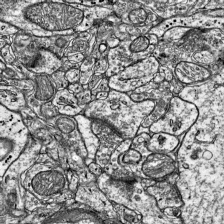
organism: Mouse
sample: Visual Cortex